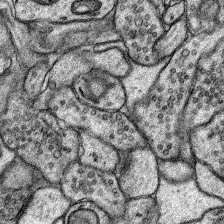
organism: Rat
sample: Hippocampus